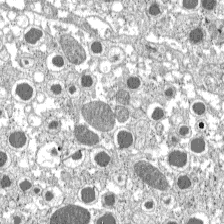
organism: C57BL Mouse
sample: Pancreatic islet